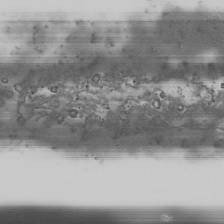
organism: Human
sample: Mitochondria in HCT116 cells